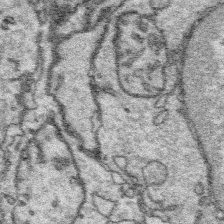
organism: Platynereis dumerilii